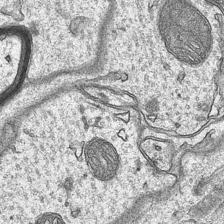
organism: Mouse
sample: CA1 Hippocampus